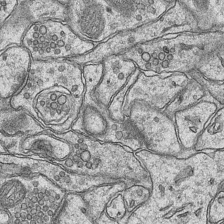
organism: Mouse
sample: CA1 Hippocampus